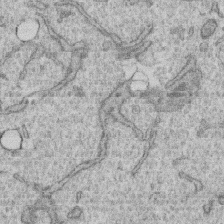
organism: Human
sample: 1205lu cells